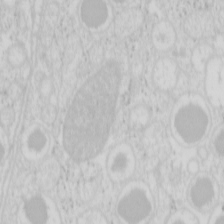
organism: Mouse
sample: Pancreas